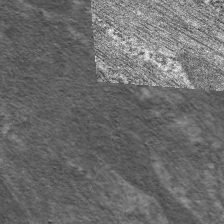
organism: C. elegans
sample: Pharynx